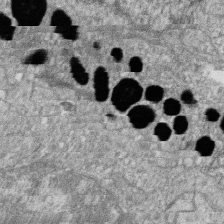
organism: Zebrafish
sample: Cilia; retinal pigment epithelium